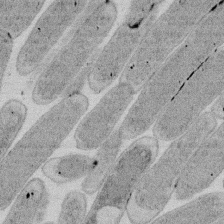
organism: E. coli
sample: Bacterial nucleoid